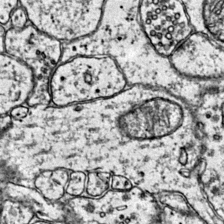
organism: Mouse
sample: Primary visual cortex